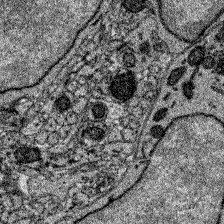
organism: Zebrafish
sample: Larval olfactory bulb